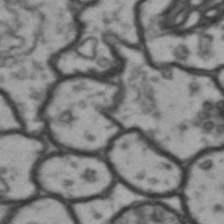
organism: Drosophila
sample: Brain